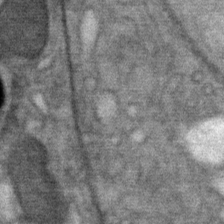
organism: Mouse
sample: Mouse Salivary gland